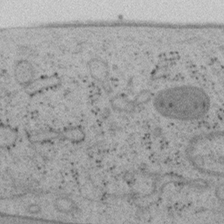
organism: Human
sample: HeLa cells